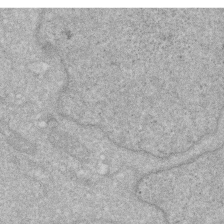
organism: Human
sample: HIV infected U937 cells